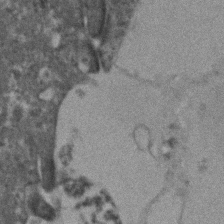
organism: Human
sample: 1205lu cells